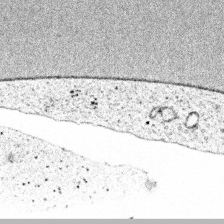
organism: Human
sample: HeLa cells